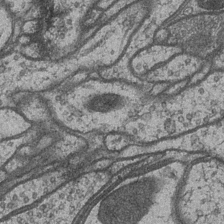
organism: Drosophila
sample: Optic medulla